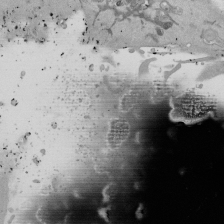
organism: Mouse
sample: ED-1 cell nuclei; centrioles